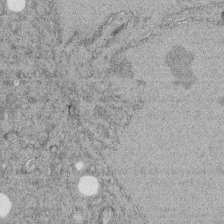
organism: C. elegans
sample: C. elegans embryo early stage